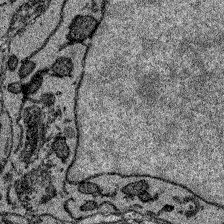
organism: Zebrafish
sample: Larval olfactory bulb